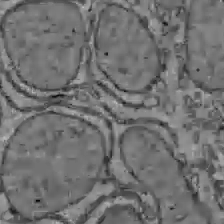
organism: C57BL Mouse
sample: Liver